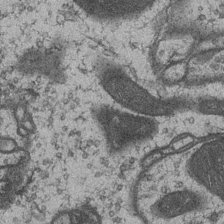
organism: Drosophila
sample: Optic medulla